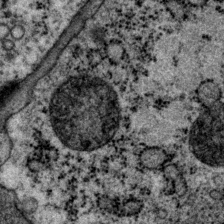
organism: P. pacificus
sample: Pharynx